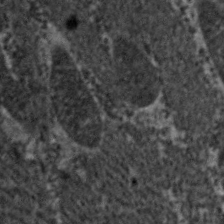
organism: C. elegans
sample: Pharynx